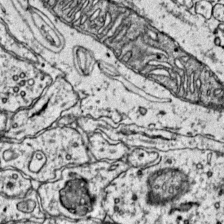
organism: Mouse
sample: Primary visual cortex